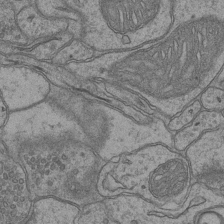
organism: Mouse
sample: CA1 Hippocampus